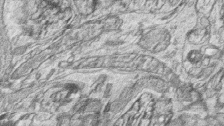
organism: Zebrafish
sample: synaptic ribbons in rod cells and cone cells